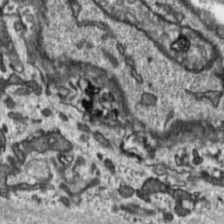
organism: Toxoplasma gondii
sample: Parasites in a vacuole inside a host cell